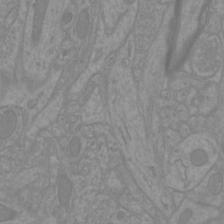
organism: Mouse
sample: Cortical neurons